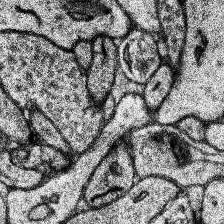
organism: Human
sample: Temporal Lobe